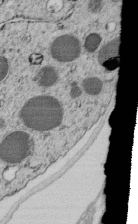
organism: C. elegans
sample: C. elegans embryo early stage